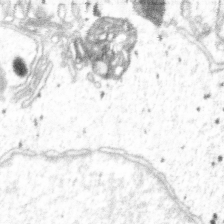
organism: Human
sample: HeLa cells